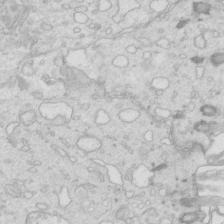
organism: Mouse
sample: Multiciliated cells